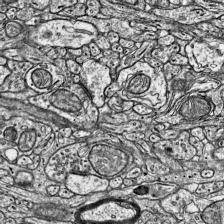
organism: Mouse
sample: Visual Cortex